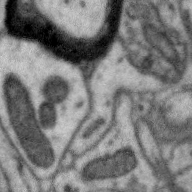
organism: Zebra finch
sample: Brain